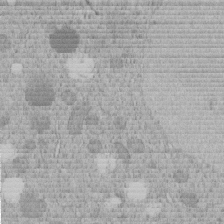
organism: C. elegans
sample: C. elegans embryo early stage